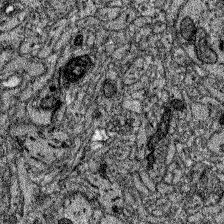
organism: Zebrafish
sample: Larval olfactory bulb